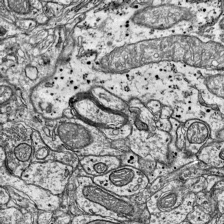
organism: Mouse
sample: Visual Cortex